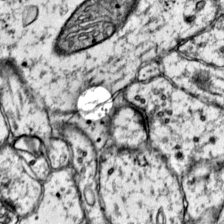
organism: Mouse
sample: Primary visual cortex